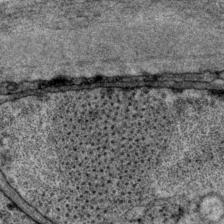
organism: P. pacificus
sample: Pharynx